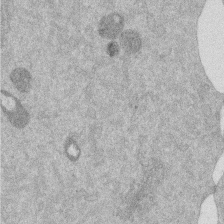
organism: Mouse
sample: Dividing mouse embryo 1 cell stage